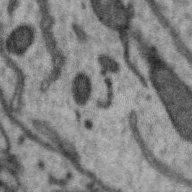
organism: Zebra finch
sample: Brain